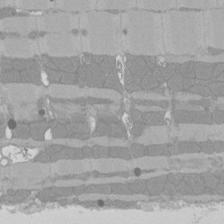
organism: Rat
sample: Left ventricle